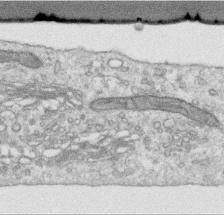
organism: Human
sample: Centriole in RPE cells